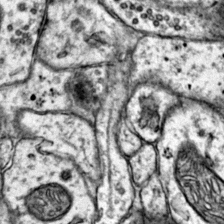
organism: Mouse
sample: Primary visual cortex